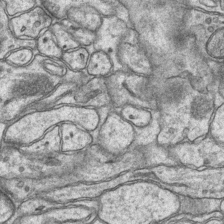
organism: Mouse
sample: CA1 Hippocampus